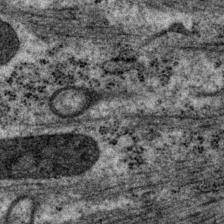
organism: P. pacificus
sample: Pharynx